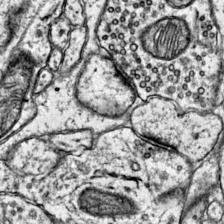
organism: Mouse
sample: Primary visual cortex